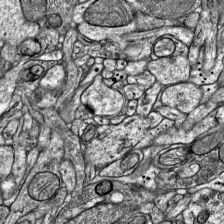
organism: Mouse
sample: Visual Cortex